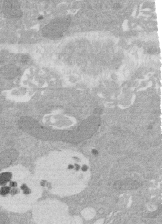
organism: Rat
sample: Salivary granule